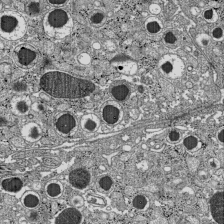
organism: C57BL Mouse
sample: Pancreatic islet